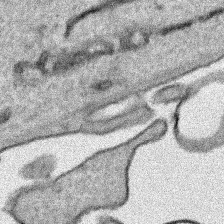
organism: Human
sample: Mitochondria in HCT116 cells